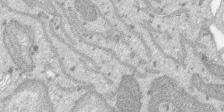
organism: Human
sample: Lung epithelial cells infected with SARS-CoV-2